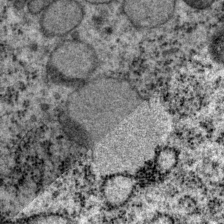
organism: P. pacificus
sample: Pharynx